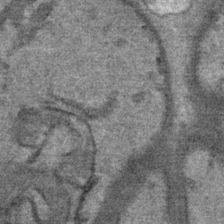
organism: Mouse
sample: Mouse Salivary gland